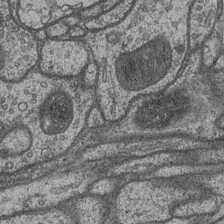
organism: Drosophila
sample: Optic medulla